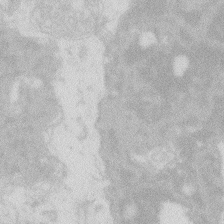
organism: Zebrafish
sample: Macrophage